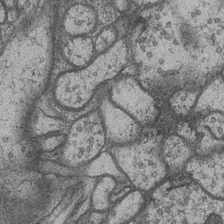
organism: Drosophila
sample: Optic medulla